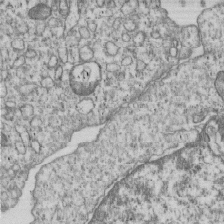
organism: Human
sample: MDA-MB-231 cells